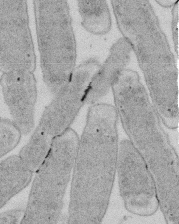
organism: E. coli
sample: Bacterial nucleoid